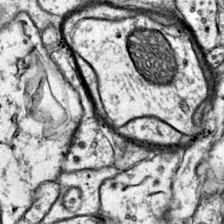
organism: Mouse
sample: Primary visual cortex